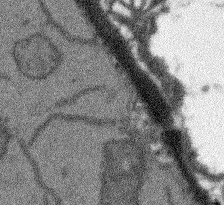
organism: Arabidopsis thaliana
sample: Root tip